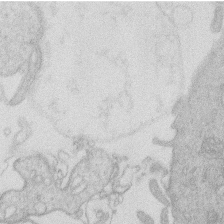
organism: Human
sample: Macrophage cells